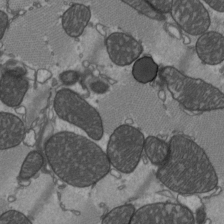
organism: C57BL Mouse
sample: Heart